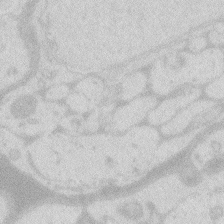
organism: Zebrafish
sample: Macrophage